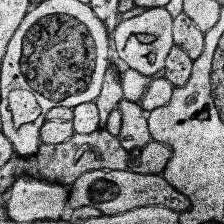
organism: Human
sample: Temporal Lobe